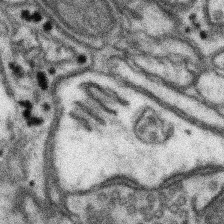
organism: Mouse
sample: Somatosensory cortex neuropil